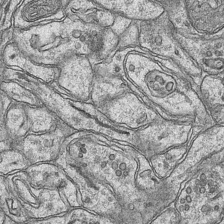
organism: Mouse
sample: CA1 Hippocampus